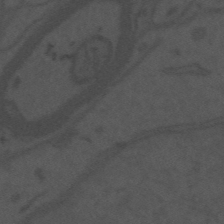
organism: Mouse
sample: Suprachiasmatic nucleus